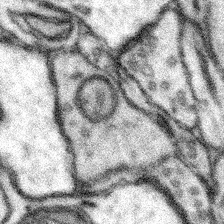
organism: Mouse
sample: Somatosensory cortex neuropil